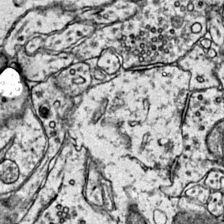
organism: Mouse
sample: Primary visual cortex